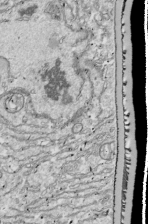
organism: Drosophila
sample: Cell division; meiosis; drosophila spermatocytes